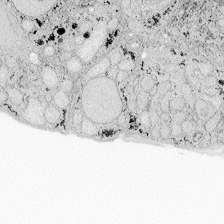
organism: Zebrafish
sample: Whole-Brain